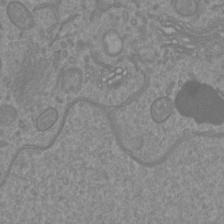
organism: Mouse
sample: Cortical neurons